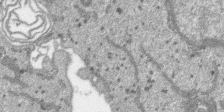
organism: Human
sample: Lung epithelial cells infected with SARS-CoV-2